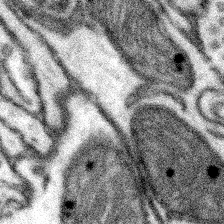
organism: Mouse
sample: Somatosensory cortex neuropil